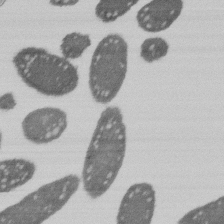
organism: E. coli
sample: Bacterial nucleoid